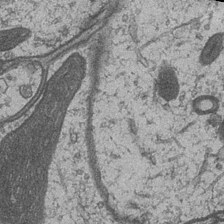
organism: Drosophila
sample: Optic medulla